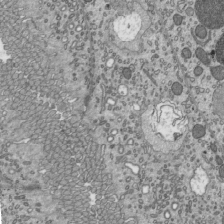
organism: Mouse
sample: Mouse epididymis efferent ductule cilia